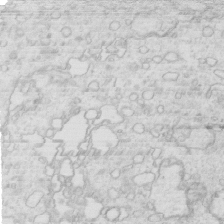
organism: Mouse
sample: Multiciliated cells